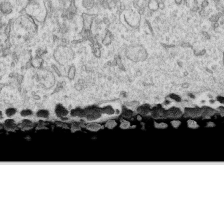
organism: Human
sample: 1205lu cells